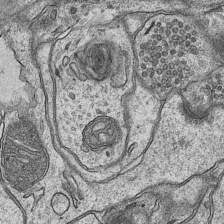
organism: Mouse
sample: CA1 Hippocampus